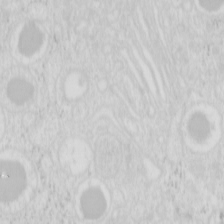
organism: Mouse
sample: Pancreas